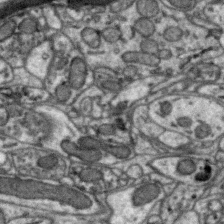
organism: Zebra finch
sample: Brain